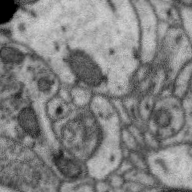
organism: Zebra finch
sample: Brain